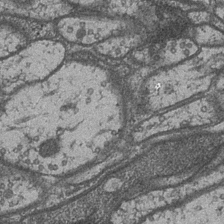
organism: Drosophila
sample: Optic medulla